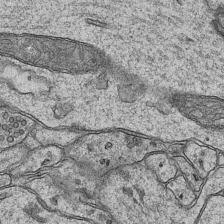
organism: Mouse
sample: CA1 Hippocampus